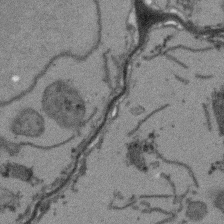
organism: Arabidopsis thaliana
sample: Root tip